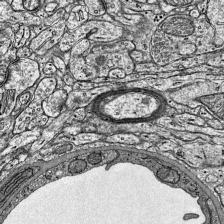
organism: Mouse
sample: Visual Cortex